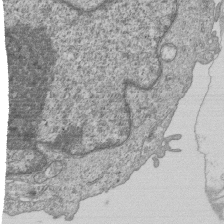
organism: Human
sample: MDA-MB-231 cells